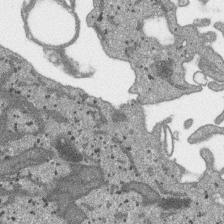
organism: Human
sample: Lung epithelial cells infected with SARS-CoV-2